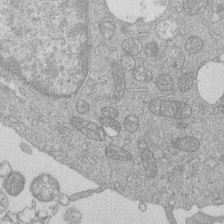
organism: Human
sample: Macrophage cells